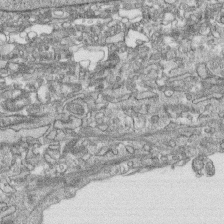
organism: Human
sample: CRL-1474